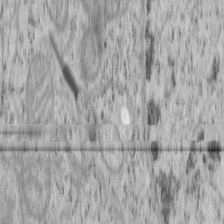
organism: Human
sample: HeLa cells